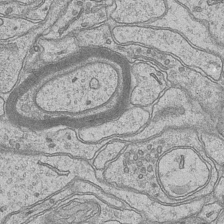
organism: Mouse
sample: CA1 Hippocampus